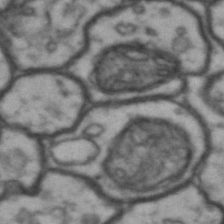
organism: Drosophila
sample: Brain